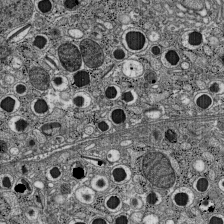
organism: C57BL Mouse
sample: Pancreatic islet